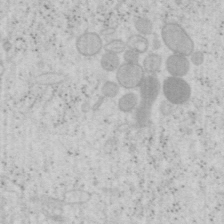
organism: Human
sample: HeLa cells